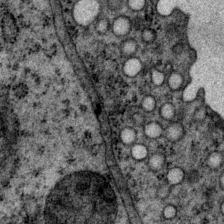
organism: P. pacificus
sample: Pharynx